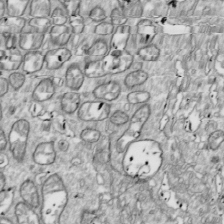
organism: Drosophila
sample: Cell division; meiosis; drosophila spermatocytes